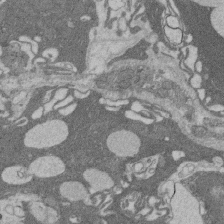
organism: Rat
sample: Salivary granule